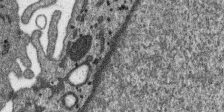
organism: Human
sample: Lung epithelial cells infected with SARS-CoV-2